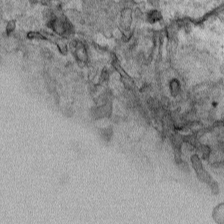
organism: Human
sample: Mitochondria in HCT116 cells